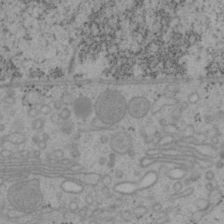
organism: Human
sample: HeLa cells